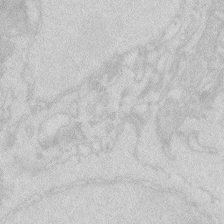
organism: Zebrafish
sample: Macrophage